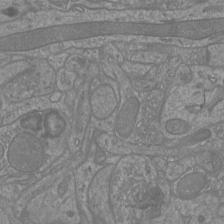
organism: Mouse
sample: Cortical neurons